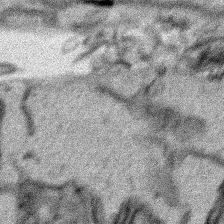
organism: Human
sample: Mitochondria in HCT116 cells